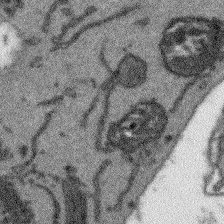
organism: Arabidopsis thaliana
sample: Root tip